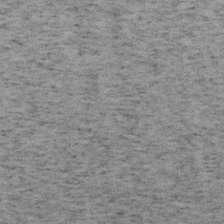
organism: Mouse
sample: OT-I killer T cells with ID8 ovarian cancer cells